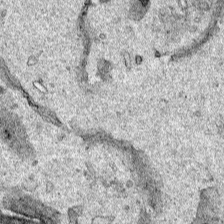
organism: Human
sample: Mitochondria in HCT116 cells